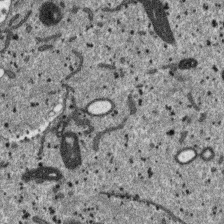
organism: Human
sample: Lung epithelial cells infected with SARS-CoV-2